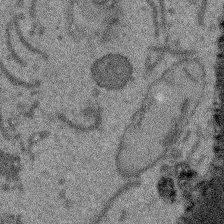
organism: Arabidopsis thaliana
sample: Root tip